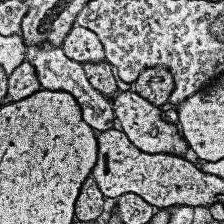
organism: Human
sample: Temporal Lobe